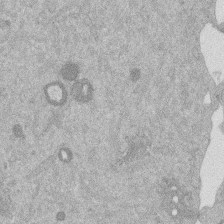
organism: Mouse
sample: Dividing mouse embryo 1 cell stage